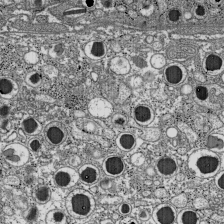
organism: C57BL Mouse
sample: Pancreatic islet